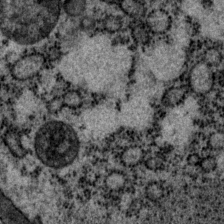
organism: P. pacificus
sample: Pharynx